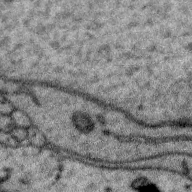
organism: Zebra finch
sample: Brain